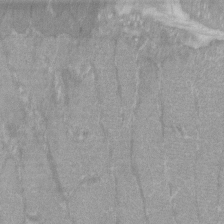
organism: C57BL Mouse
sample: Tibialis anterior muscle cell